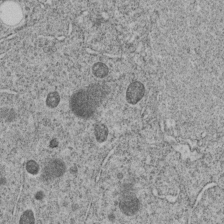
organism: C. elegans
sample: C. elegans embryo early stage